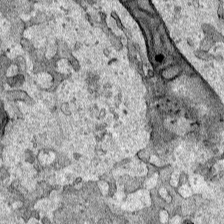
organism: Human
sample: Mitochondria in HCT116 cells